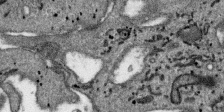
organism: Human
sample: Lung epithelial cells, uninfected (mock) control